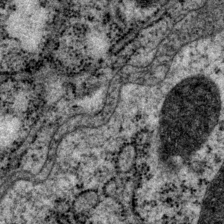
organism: P. pacificus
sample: Pharynx